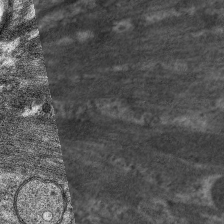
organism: C. elegans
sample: Pharynx